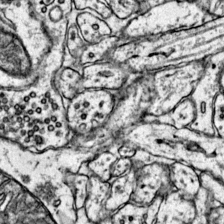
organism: Mouse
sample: Primary visual cortex